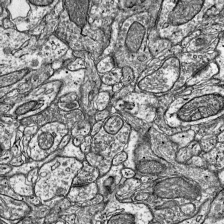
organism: Mouse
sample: Visual Cortex